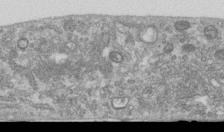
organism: Human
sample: Centriole in RPE cells